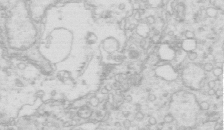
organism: Mouse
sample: Multiciliated cells